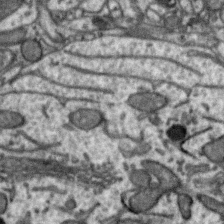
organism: Zebra finch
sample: Brain